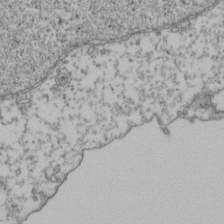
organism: Human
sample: Activated Jurkat CD4+ T cells